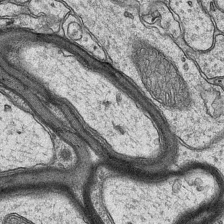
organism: Mouse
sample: CA1 Hippocampus